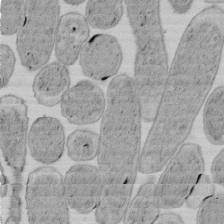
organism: E. coli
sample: Bacterial nucleoid